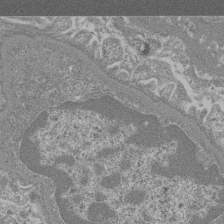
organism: Mouse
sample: Glomerulus